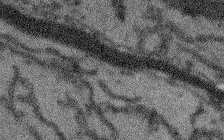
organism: Arabidopsis thaliana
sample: Root tip